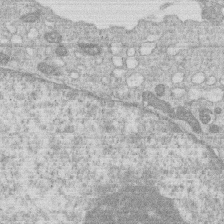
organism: Human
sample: Macrophage cells